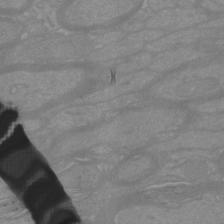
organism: Mouse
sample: Cortical neurons